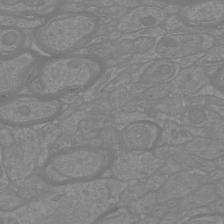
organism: Mouse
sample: Cortical neurons